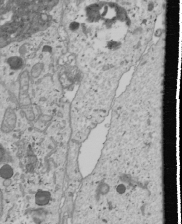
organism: Human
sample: Mitochondria in U2OS cells